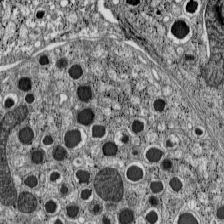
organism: C57BL Mouse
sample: Pancreatic islet